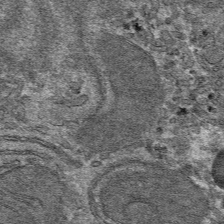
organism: Mouse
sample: Mouse hepatocytes